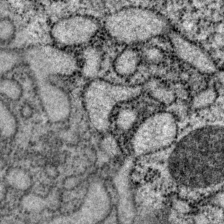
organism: P. pacificus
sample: Pharynx